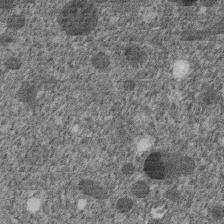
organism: C. elegans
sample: C. elegans embryo early stage